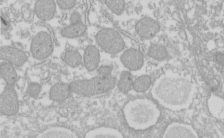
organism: Xenopus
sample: Cilia; centrioles in frog embryo cells